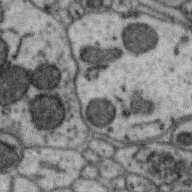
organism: Zebra finch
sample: Brain